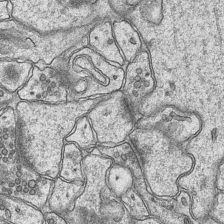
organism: Mouse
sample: CA1 Hippocampus